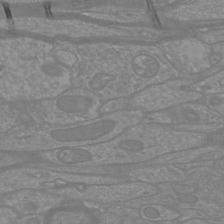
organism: Mouse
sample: Cortical neurons